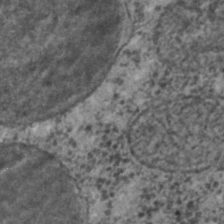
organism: C. elegans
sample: C. elegans embryo